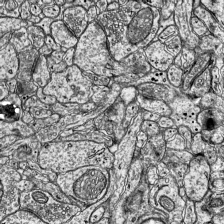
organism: Mouse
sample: Visual Cortex